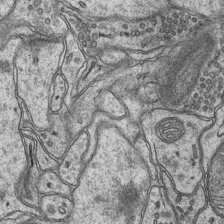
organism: Mouse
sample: CA1 Hippocampus